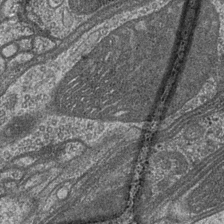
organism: Drosophila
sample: Optic medulla